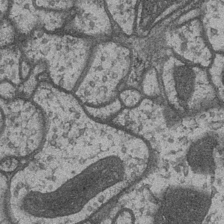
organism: Drosophila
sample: Optic medulla